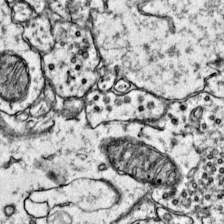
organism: Mouse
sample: Primary visual cortex